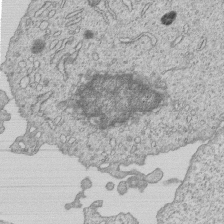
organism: Human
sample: MDA-MB-231 cells